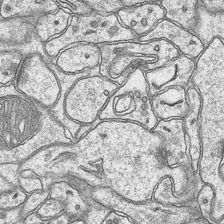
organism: Mouse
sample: CA1 Hippocampus